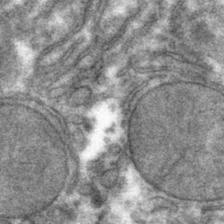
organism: Mouse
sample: Mouse hepatocytes